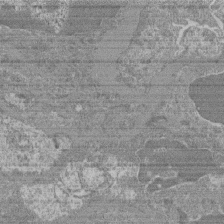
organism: Mouse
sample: Glomerulus